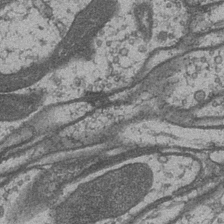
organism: Drosophila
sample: Optic medulla